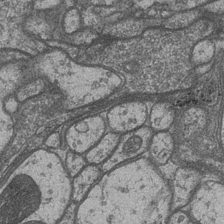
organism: Drosophila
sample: Optic medulla